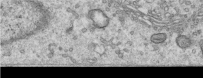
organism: Human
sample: Centriole in RPE cells